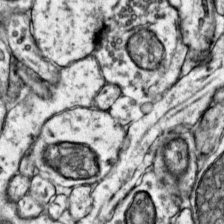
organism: Mouse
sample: Primary visual cortex